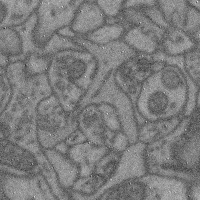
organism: Mouse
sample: Cerebral cortex